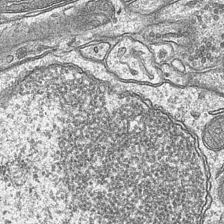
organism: Mouse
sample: CA1 Hippocampus